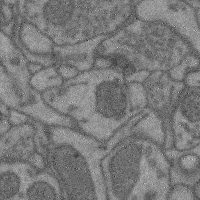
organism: Mouse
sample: Cerebral cortex